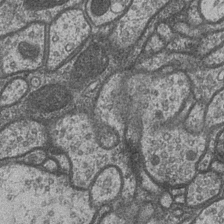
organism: Drosophila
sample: Optic medulla